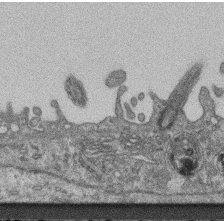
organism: Mouse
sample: Centriole in ependymal cells